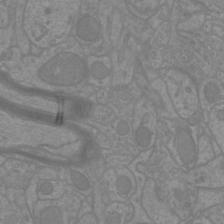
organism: Mouse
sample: Cortical neurons